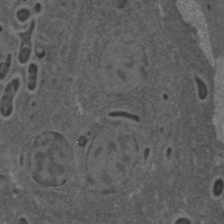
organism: C. elegans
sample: C. elegans embryo